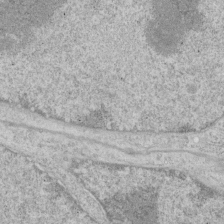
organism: Human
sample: Mitochondria in HCT116 cells